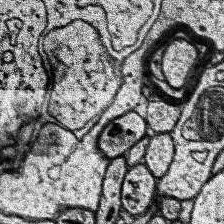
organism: Human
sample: Temporal Lobe